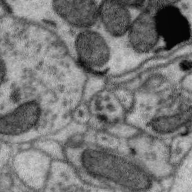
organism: Zebra finch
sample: Brain